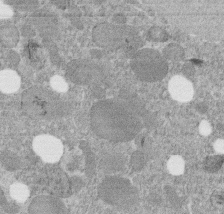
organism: C. elegans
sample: C. elegans embryo early stage